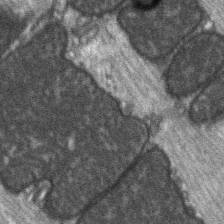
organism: C57BL Mouse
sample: Soleus